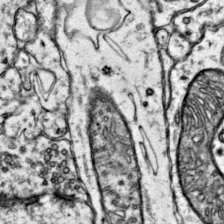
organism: Mouse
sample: Primary visual cortex